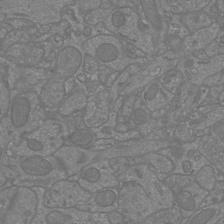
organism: Mouse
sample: Cortical neurons